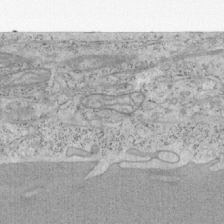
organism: Human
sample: HeLa cells